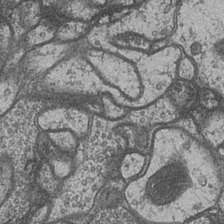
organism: Drosophila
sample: Optic medulla